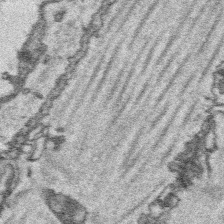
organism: Platynereis dumerilii